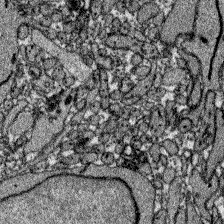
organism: Zebrafish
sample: Larval olfactory bulb